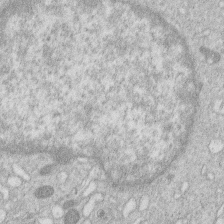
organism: Human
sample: Macrophage cells